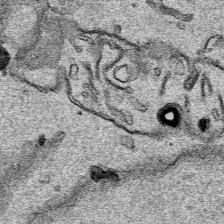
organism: Human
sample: Mitochondria in HCT116 cells